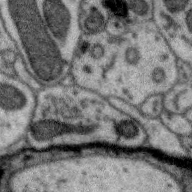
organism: Zebra finch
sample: Brain